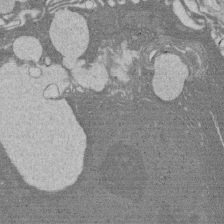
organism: Rat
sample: Salivary granule